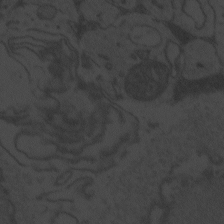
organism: Zebrafish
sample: Macrophage infected with Toxoplasma gondii